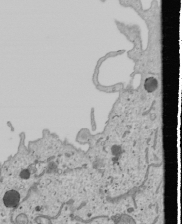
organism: Human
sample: Mitochondria in U2OS cells